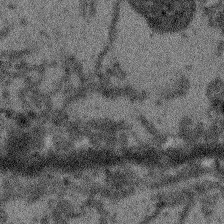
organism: Arabidopsis thaliana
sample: Root tip